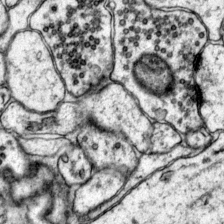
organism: Mouse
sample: Primary visual cortex